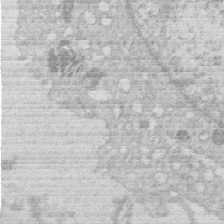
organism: Human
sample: Macrophage cells